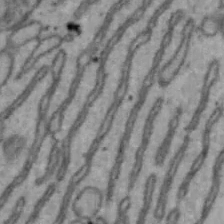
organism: Mouse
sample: Liver